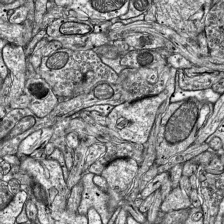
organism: Mouse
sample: Visual Cortex